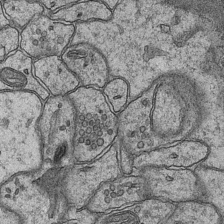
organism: Mouse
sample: CA1 Hippocampus